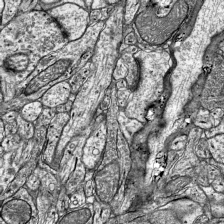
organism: Mouse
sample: Visual Cortex